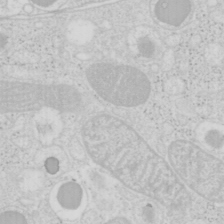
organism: Mouse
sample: Pancreas